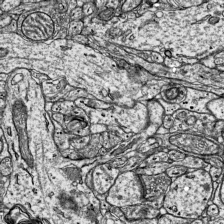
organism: Mouse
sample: Visual Cortex